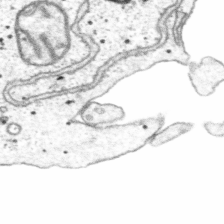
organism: Human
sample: HeLa cells